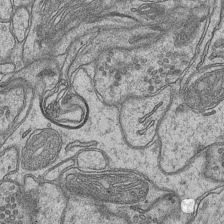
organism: Mouse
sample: CA1 Hippocampus